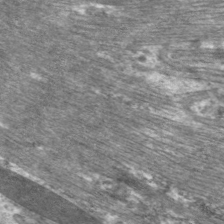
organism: C. elegans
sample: Pharynx